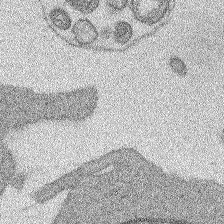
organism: Human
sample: HeLa cells